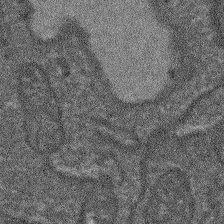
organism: Arabidopsis thaliana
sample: Root tip